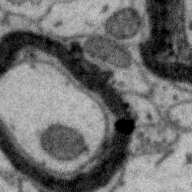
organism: Zebra finch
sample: Brain